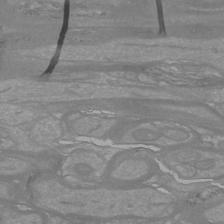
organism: Mouse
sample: Cortical neurons